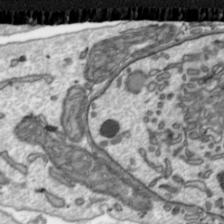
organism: Toxoplasma gondii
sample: Parasites in a vacuole inside a host cell